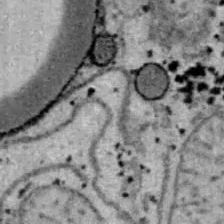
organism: Mouse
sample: Liver from an obese (ob/ob) mouse